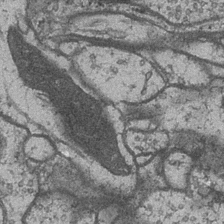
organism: Drosophila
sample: Optic medulla